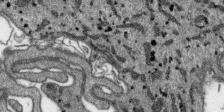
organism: Human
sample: Lung epithelial cells, uninfected (mock) control